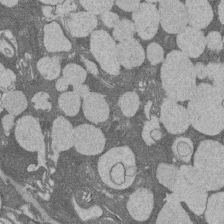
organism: Rat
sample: Salivary granule